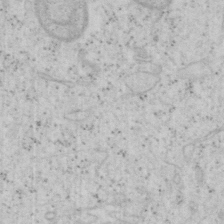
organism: Human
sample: HeLa cells